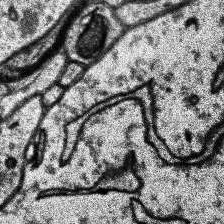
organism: Human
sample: Temporal Lobe